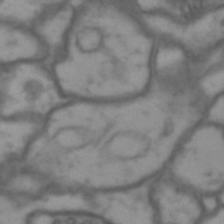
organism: Drosophila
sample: Brain